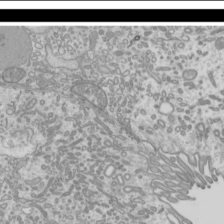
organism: Mouse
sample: Cilia; mouse epididymis